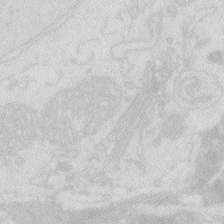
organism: Zebrafish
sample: Macrophage